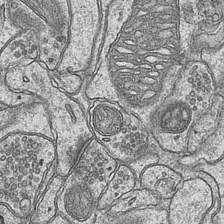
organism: Mouse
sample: CA1 Hippocampus